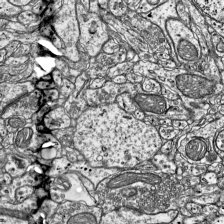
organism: Mouse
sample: Visual Cortex